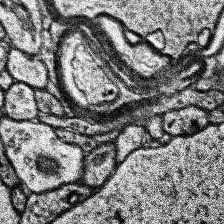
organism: Human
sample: Temporal Lobe